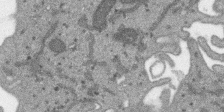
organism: Human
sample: Lung epithelial cells infected with SARS-CoV-2